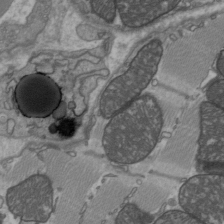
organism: C57BL Mouse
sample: Heart